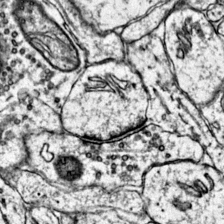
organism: Mouse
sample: Primary visual cortex